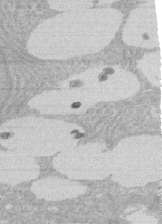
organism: Rat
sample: Salivary granule